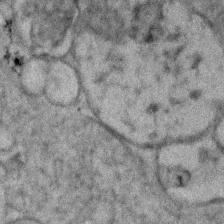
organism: Human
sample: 1205lu cells